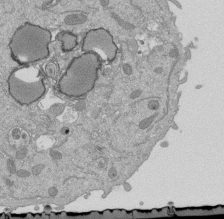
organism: Mouse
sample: ED-1 cell nuclei; centrioles